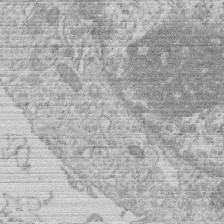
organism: Human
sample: Macrophage cells